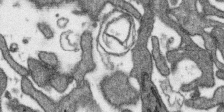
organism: Human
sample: Lung epithelial cells, uninfected (mock) control